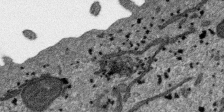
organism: Human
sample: Lung epithelial cells, uninfected (mock) control